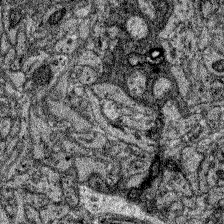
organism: Zebrafish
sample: Larval olfactory bulb